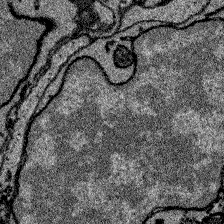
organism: Zebrafish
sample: Larval olfactory bulb